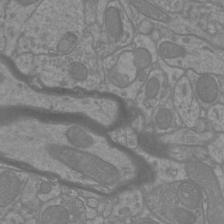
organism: Mouse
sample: Cortical neurons